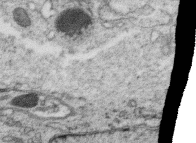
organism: C. elegans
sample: C. elegans oocyte; sperm cells